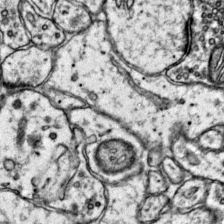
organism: Mouse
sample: Primary visual cortex